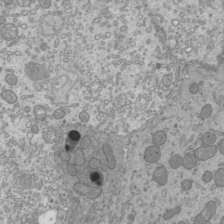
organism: Mouse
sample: Cilia; mouse epididymis